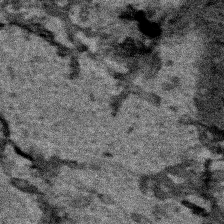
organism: Human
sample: Mitochondria in HCT116 cells